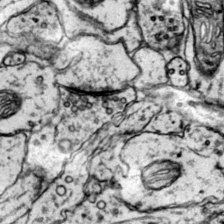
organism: Mouse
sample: Primary visual cortex